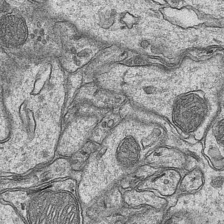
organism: Mouse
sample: CA1 Hippocampus